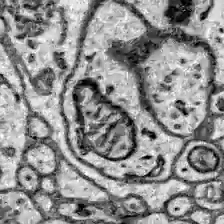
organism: Zebrafish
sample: Brain